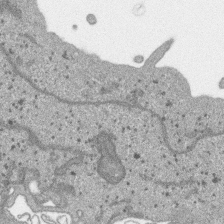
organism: Human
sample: Lung epithelial cells infected with SARS-CoV-2